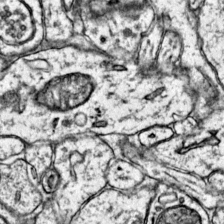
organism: Mouse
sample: Primary visual cortex